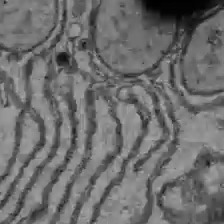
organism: C57BL Mouse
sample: Liver